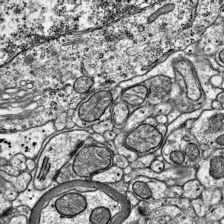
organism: Mouse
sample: Visual Cortex